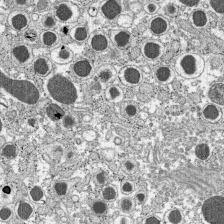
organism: C57BL Mouse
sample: Pancreatic islet